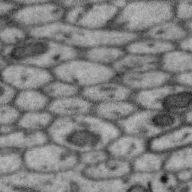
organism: Zebra finch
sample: Brain